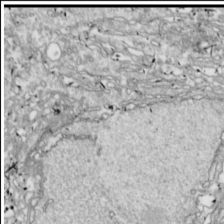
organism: Drosophila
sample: Cell division; meiosis; drosophila spermatocytes